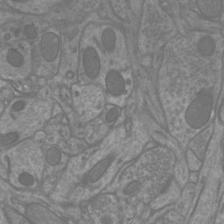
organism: Mouse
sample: Cortical neurons